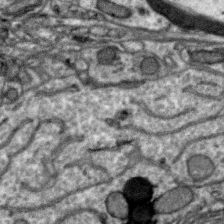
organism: Zebra finch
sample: Brain